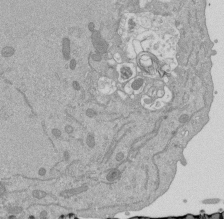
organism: Mouse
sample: ED-1 cell nuclei; centrioles